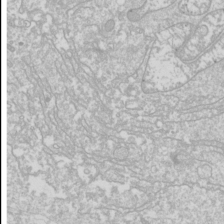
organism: Drosophila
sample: Cell division; meiosis; drosophila spermatocytes